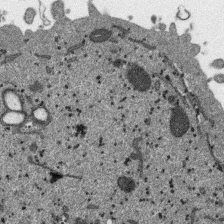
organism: Human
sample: Lung epithelial cells infected with SARS-CoV-2